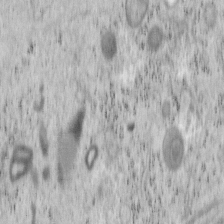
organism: Human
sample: HeLa cells